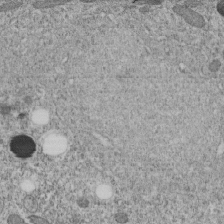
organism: C. elegans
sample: C. elegans embryo early stage